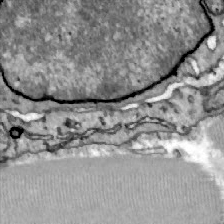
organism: Zebrafish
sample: Actinotrichia fibers